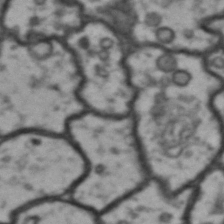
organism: Drosophila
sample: Brain